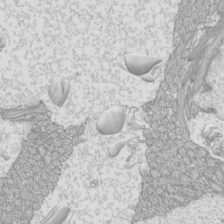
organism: Mouse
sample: Cilia; mouse epididymis